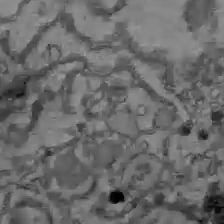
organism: C57BL Mouse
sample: Liver